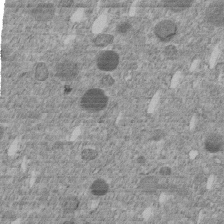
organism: C. elegans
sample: C. elegans embryo early stage